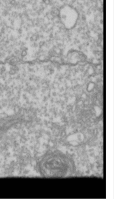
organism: Drosophila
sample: Cell division; meiosis; drosophila spermatocytes